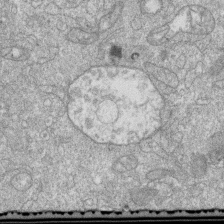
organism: Human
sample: HeLa cell HIV synapse